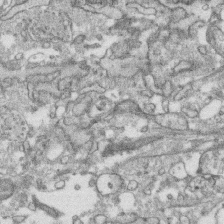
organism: Human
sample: CRL-1474